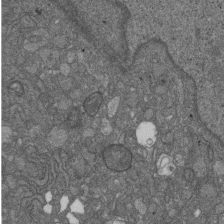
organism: Drosophila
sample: Nephrocyte